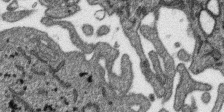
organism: Human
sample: Lung epithelial cells infected with SARS-CoV-2